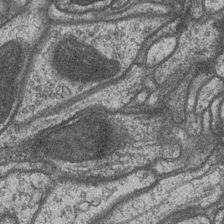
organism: Drosophila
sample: Optic medulla